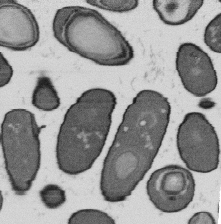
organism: B. subtilis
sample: Bacterial spore